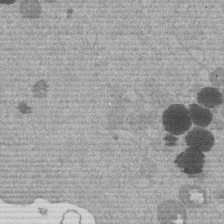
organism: Mouse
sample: Dividing mouse embryo 1 cell stage